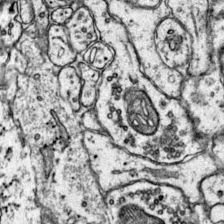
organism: Mouse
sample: Primary visual cortex